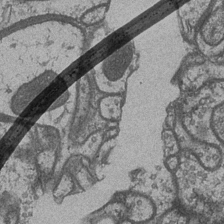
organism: Drosophila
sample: Optic medulla